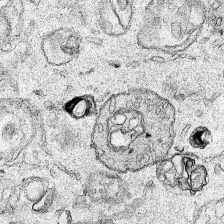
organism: Human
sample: Mitochondria in HCT116 cells